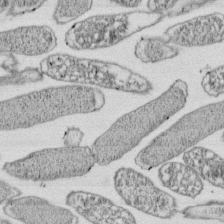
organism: E. coli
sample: Bacterial nucleoid